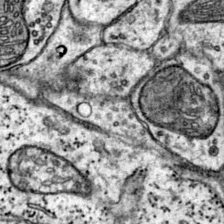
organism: Mouse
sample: Primary visual cortex